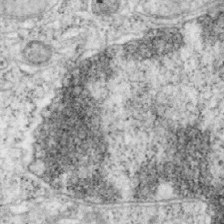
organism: Mouse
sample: OT-I killer T cells with ID8 ovarian cancer cells